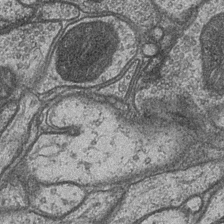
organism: Drosophila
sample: Optic medulla